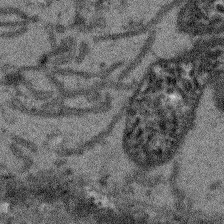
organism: Arabidopsis thaliana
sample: Root tip